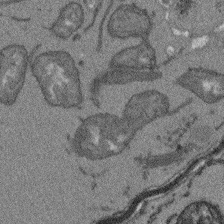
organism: Arabidopsis thaliana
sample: Root tip